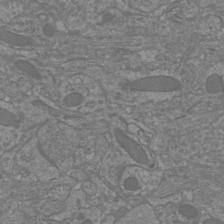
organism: Mouse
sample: Cortical neurons